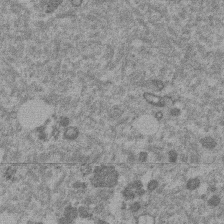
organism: Mouse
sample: Dividing mouse embryo 1 cell stage